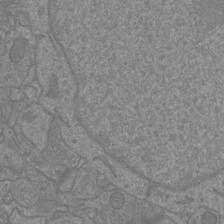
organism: Mouse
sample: Cortical neurons